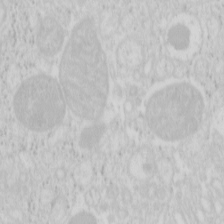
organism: Mouse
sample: Pancreas